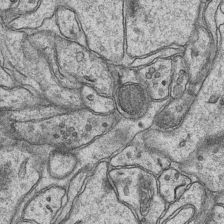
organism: Mouse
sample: CA1 Hippocampus